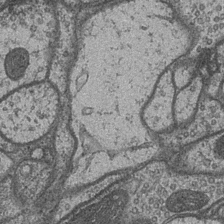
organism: Drosophila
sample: Optic medulla